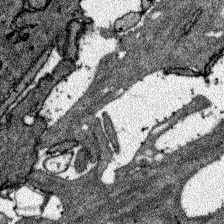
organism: Zebrafish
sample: Larval olfactory bulb